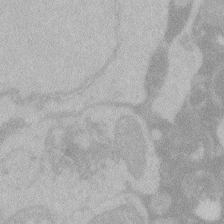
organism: Zebrafish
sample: Macrophage infected with Toxoplasma gondii